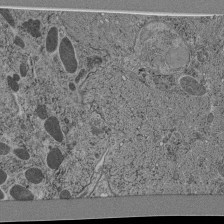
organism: C. elegans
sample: C. elegans pharynx